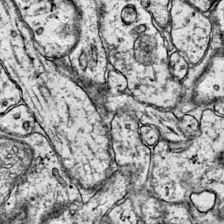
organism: Mouse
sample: Primary visual cortex